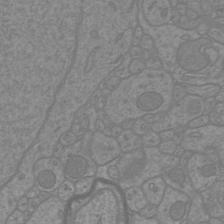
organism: Mouse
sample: Cortical neurons